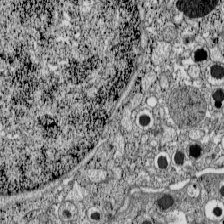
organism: C57BL Mouse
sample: Pancreatic islet